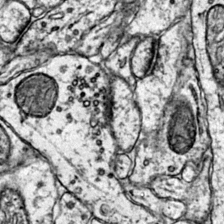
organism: Mouse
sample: Primary visual cortex